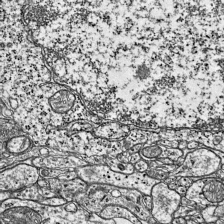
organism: Mouse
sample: Visual Cortex